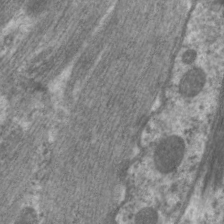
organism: C. elegans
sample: Pharynx